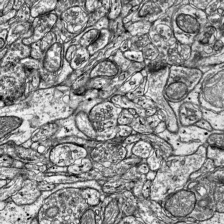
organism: Mouse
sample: Visual Cortex